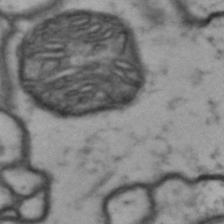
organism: Drosophila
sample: Brain